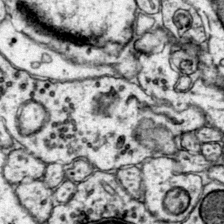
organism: Mouse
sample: Primary visual cortex